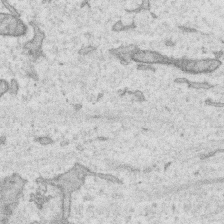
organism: Human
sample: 1205lu cells